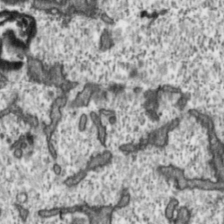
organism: Toxoplasma gondii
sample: Parasites in a vacuole inside a host cell